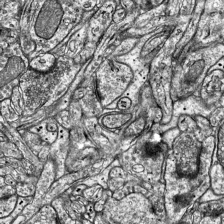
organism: Mouse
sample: Visual Cortex